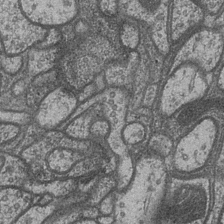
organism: Drosophila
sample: Optic medulla